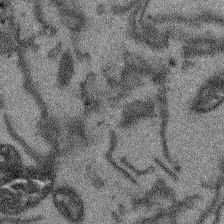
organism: Arabidopsis thaliana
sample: Root tip